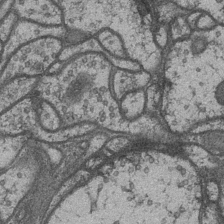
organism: Drosophila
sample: Optic medulla